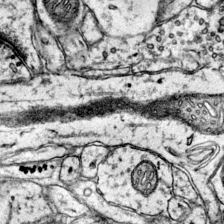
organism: Mouse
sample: Primary visual cortex